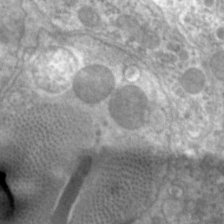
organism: C. elegans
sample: Pharynx